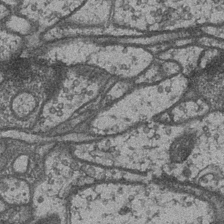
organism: Drosophila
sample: Optic medulla